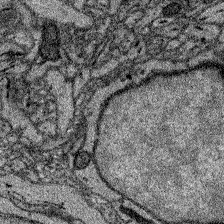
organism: Zebrafish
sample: Larval olfactory bulb